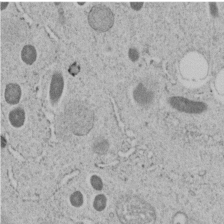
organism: C. elegans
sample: C. elegans embryo early stage